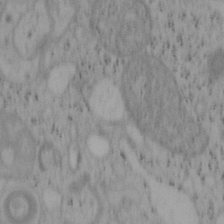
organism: Mouse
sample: OT-I killer T cells with ID8 ovarian cancer cells